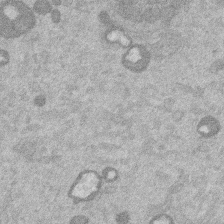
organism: Mouse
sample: Dividing mouse embryo 1 cell stage